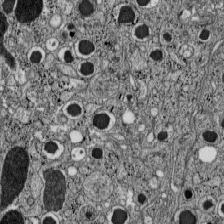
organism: C57BL Mouse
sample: Pancreatic islet